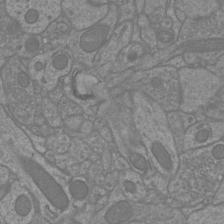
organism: Mouse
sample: Cortical neurons